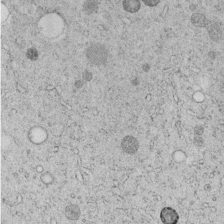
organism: C. elegans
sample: C. elegans embryo early stage